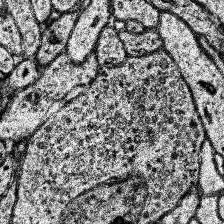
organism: Human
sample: Temporal Lobe